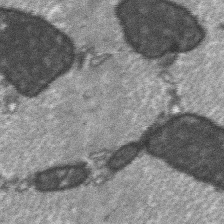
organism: C57BL Mouse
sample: Soleus